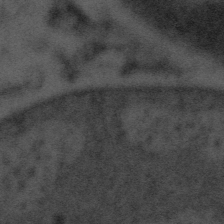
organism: Tuwongella immobilis